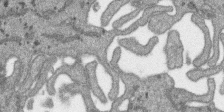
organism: Human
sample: Lung epithelial cells infected with SARS-CoV-2